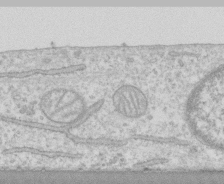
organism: Human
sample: CRL-1474